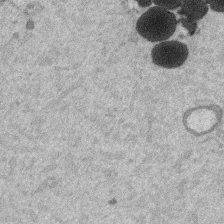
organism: Mouse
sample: Dividing mouse embryo 1 cell stage